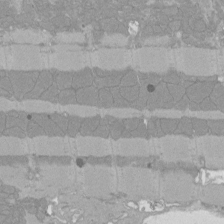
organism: Rat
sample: Left ventricle